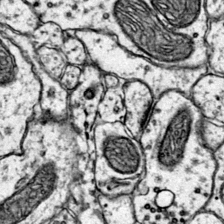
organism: Mouse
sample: Primary visual cortex